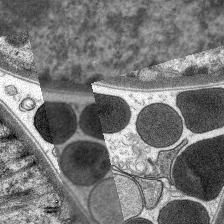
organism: C. elegans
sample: Pharynx